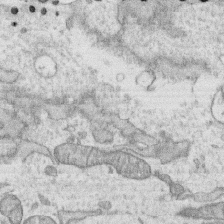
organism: Human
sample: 1205lu cells